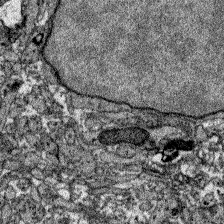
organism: Zebrafish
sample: Larval olfactory bulb